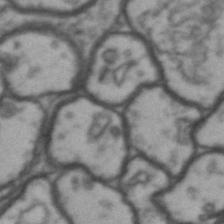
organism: Drosophila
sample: Brain